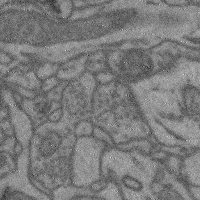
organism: Mouse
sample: Cerebral cortex